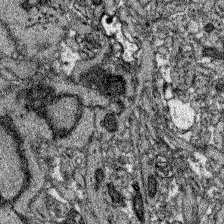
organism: Zebrafish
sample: Larval olfactory bulb